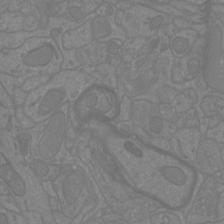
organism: Mouse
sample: Cortical neurons